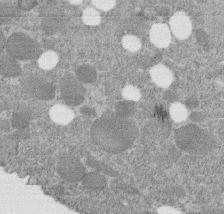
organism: C. elegans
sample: C. elegans embryo early stage